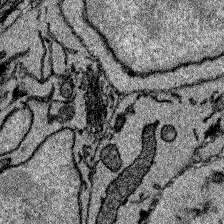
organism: Zebrafish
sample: Larval olfactory bulb